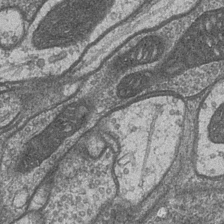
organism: Drosophila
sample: Optic medulla